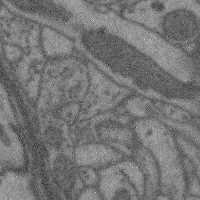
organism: Mouse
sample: Cerebral cortex